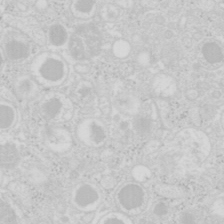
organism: Mouse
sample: Pancreas